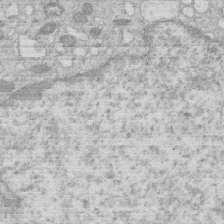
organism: Human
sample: Macrophage cells